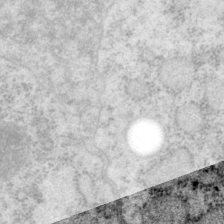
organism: P. pacificus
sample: Pharynx